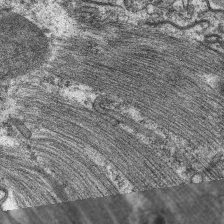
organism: C. elegans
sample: Pharynx